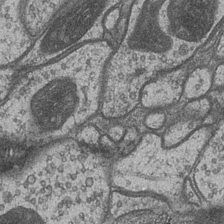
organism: Drosophila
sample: Optic medulla